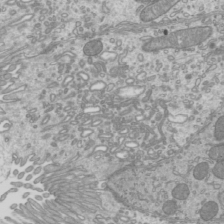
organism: Mouse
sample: Cilia; mouse epididymis